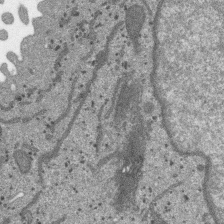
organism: Human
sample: Lung epithelial cells infected with SARS-CoV-2